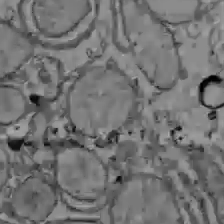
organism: C57BL Mouse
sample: Liver